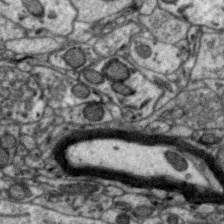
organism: Zebra finch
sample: Brain